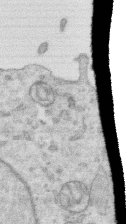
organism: Human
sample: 1205lu cells